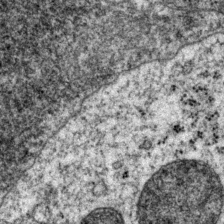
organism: P. pacificus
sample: Pharynx